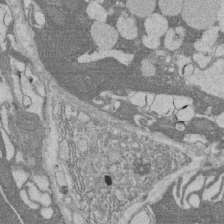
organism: Rat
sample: Salivary granule